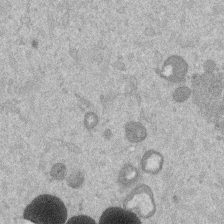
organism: Mouse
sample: Dividing mouse embryo 1 cell stage